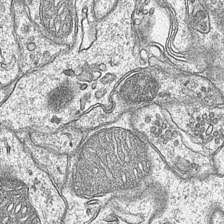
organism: Mouse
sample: CA1 Hippocampus